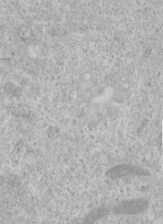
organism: Human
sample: Centriole in RPE cells